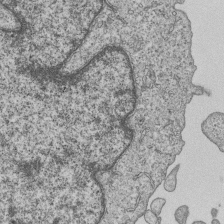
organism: Human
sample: MDA-MB-231 cells